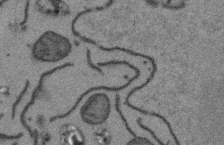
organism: Arabidopsis thaliana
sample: Root tip